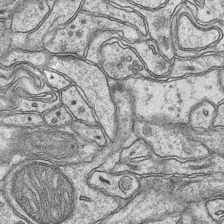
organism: Mouse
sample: CA1 Hippocampus